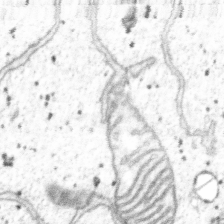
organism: Human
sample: HeLa cells